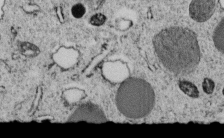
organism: C. elegans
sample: C. elegans embryo early stage